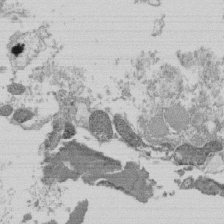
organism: Tetrahymena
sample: Cilia in tetrahymena